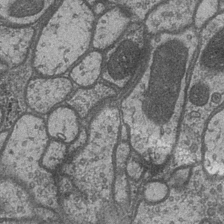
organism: Drosophila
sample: Optic medulla